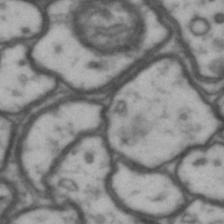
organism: Drosophila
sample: Brain